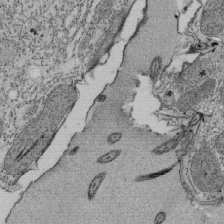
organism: Tetrahymena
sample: Cilia in tetrahymena